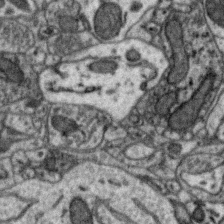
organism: Zebra finch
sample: Brain